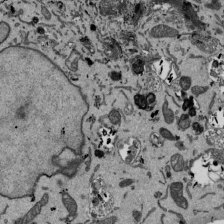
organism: Mouse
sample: ED-1 cell nuclei; centrioles